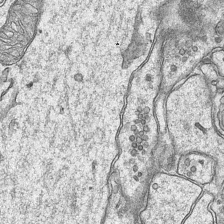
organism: Mouse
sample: CA1 Hippocampus